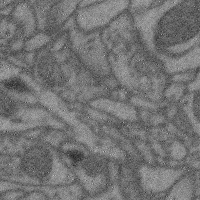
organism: Mouse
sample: Cerebral cortex